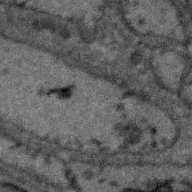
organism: Zebra finch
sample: Brain